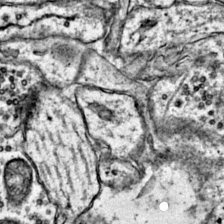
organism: Mouse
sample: Primary visual cortex